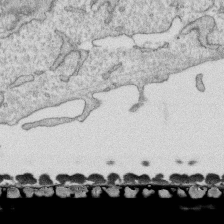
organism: Human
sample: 1205lu cells